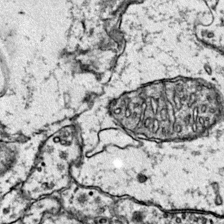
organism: Mouse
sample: Primary visual cortex